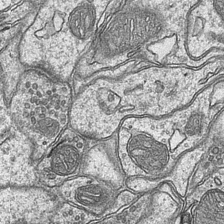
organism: Mouse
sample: CA1 Hippocampus